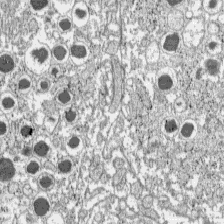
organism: C57BL Mouse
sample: Pancreatic islet